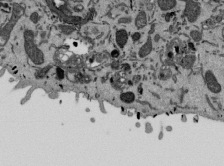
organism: Mouse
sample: ED-1 cell nuclei; centrioles